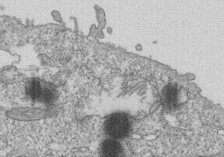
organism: Human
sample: HeLa cell HIV synapse